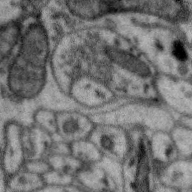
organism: Zebra finch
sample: Brain